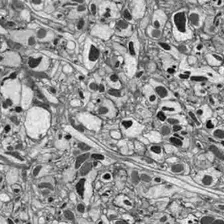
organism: Drosophila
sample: Optic lobe